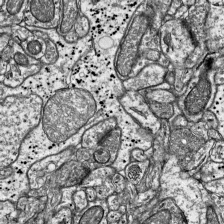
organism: Mouse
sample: Visual Cortex